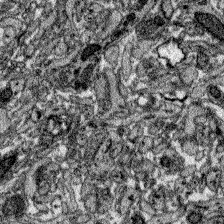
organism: Zebrafish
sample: Larval olfactory bulb